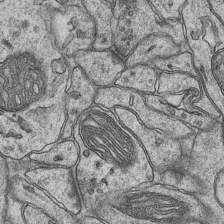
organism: Mouse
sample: CA1 Hippocampus